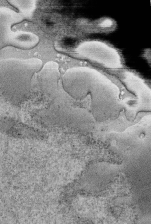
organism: Human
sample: Retinal organoid Rod and Cone cells